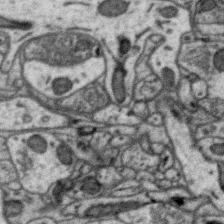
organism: Zebra finch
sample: Brain